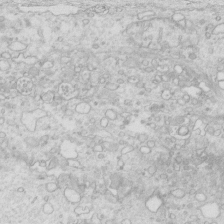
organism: Mouse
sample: Multiciliated cells